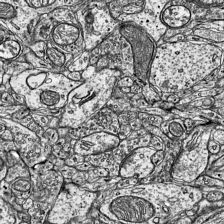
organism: Mouse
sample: Visual Cortex